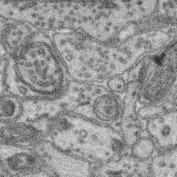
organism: Mouse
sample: Retina